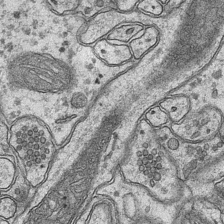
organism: Mouse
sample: CA1 Hippocampus